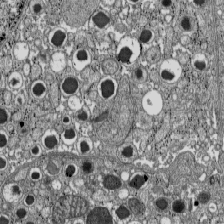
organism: C57BL Mouse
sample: Pancreatic islet